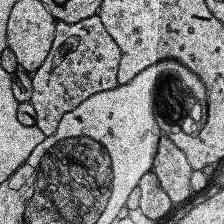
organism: Human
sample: Temporal Lobe